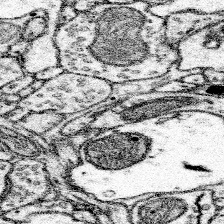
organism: Mouse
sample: Somatosensory cortex neuropil